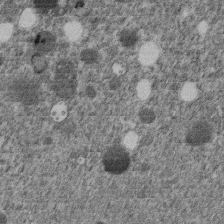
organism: C. elegans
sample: C. elegans embryo early stage